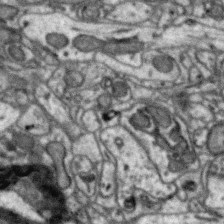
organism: Zebra finch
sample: Brain